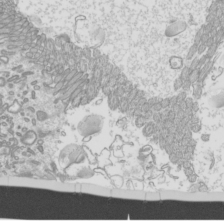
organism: Mouse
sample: Cilia; mouse epididymis